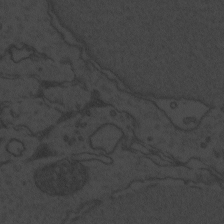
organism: Zebrafish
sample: Macrophage infected with Toxoplasma gondii